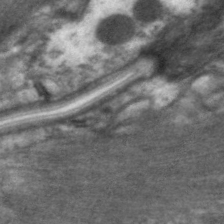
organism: C. elegans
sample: Pharynx